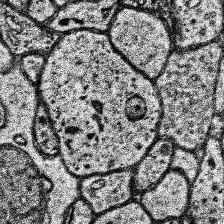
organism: Human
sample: Temporal Lobe